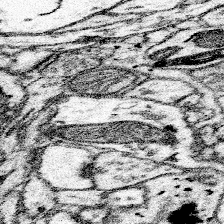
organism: Mouse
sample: Somatosensory cortex neuropil